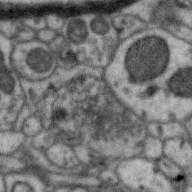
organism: Zebra finch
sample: Brain